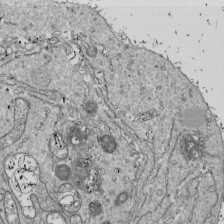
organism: Drosophila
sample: Cell division; meiosis; drosophila spermatocytes